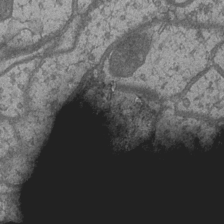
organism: Drosophila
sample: Optic medulla